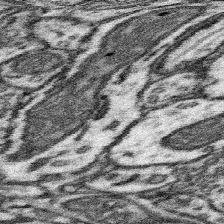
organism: Mouse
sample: Somatosensory cortex neuropil